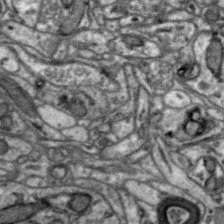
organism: Zebra finch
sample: Brain